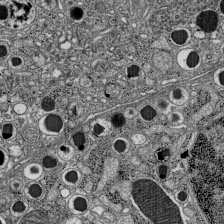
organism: C57BL Mouse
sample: Pancreatic islet